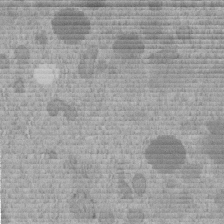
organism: C. elegans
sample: C. elegans embryo early stage